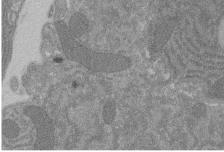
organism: Rat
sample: Salivary granule